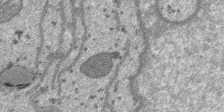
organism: Human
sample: Lung epithelial cells infected with SARS-CoV-2